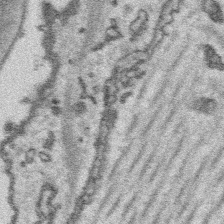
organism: Platynereis dumerilii